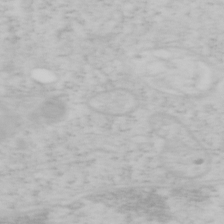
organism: Mouse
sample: OT-I killer T cells with ID8 ovarian cancer cells